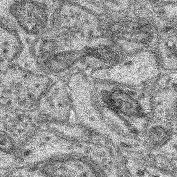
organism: Mouse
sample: Retina